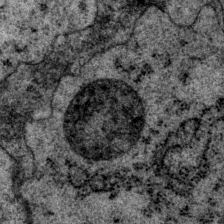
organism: P. pacificus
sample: Pharynx